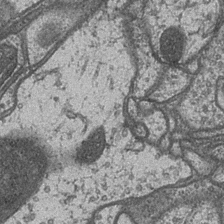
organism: Drosophila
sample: Optic medulla